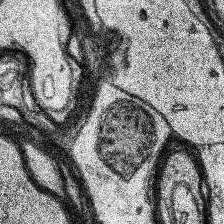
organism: Human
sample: Temporal Lobe